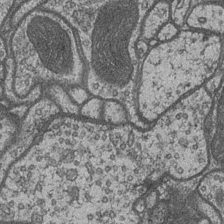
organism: Drosophila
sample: Optic medulla